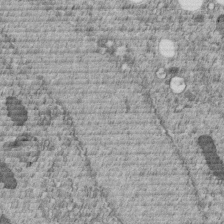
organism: C. elegans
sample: C. elegans embryo early stage